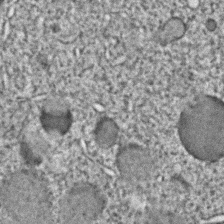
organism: C. elegans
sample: C. elegans embryo